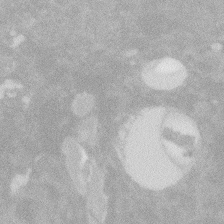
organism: Zebrafish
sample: Macrophage